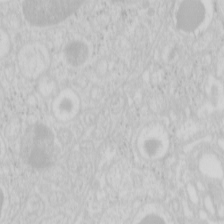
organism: Mouse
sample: Pancreas